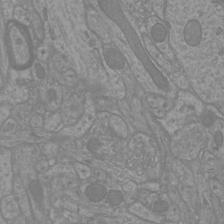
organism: Mouse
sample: Cortical neurons